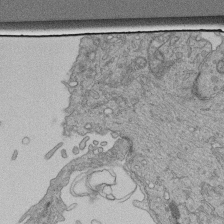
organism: Human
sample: Retinal organoid Rod and Cone cells